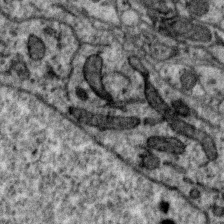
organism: Zebra finch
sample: Brain